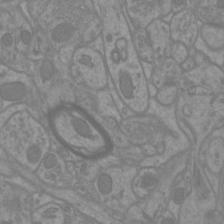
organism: Mouse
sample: Cortical neurons